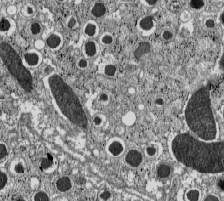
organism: C57BL Mouse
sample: Pancreatic islet